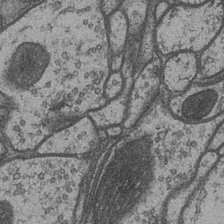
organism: Drosophila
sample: Optic medulla